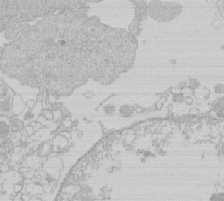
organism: Human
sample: Macrophage cells